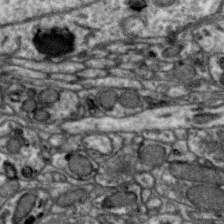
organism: Zebra finch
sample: Brain